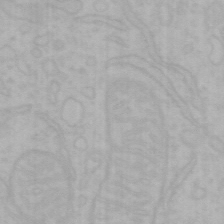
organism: Mouse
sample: Choroid plexus